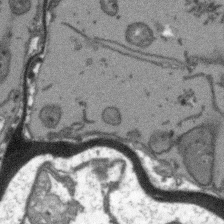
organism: Arabidopsis thaliana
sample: Root tip